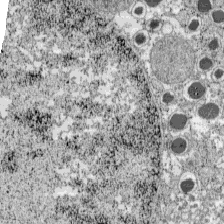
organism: C57BL Mouse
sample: Pancreatic islet